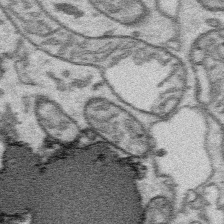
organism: Platynereis dumerilii